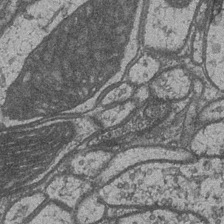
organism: Drosophila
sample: Optic medulla